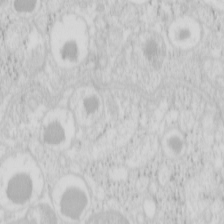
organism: Mouse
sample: Pancreas